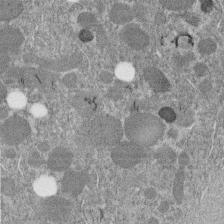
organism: C. elegans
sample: C. elegans embryo early stage